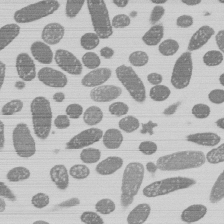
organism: E. coli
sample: Bacterial nucleoid